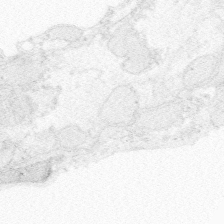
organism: Zebrafish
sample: Whole-Brain